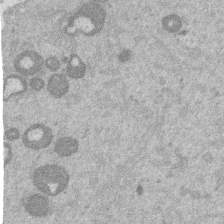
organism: Mouse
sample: Dividing mouse embryo 1 cell stage